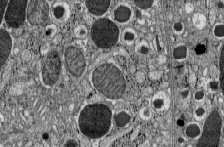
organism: C57BL Mouse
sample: Pancreatic islet